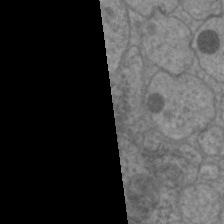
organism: C. elegans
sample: Pharynx